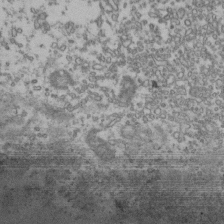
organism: Human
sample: Activated Jurkat CD4+ T cells